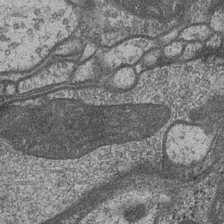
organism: Drosophila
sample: Optic medulla